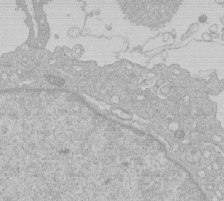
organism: Human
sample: Macrophage cells